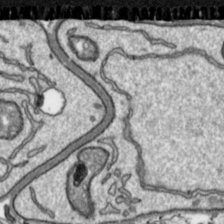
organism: Toxoplasma gondii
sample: Parasites in a vacuole inside a host cell